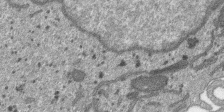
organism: Human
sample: Lung epithelial cells infected with SARS-CoV-2